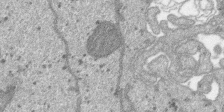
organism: Human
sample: Lung epithelial cells infected with SARS-CoV-2